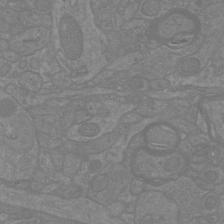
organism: Mouse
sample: Cortical neurons